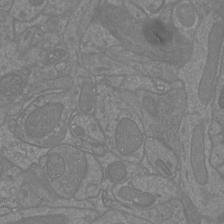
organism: Mouse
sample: Cortical neurons